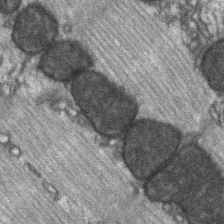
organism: C57BL Mouse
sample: Soleus